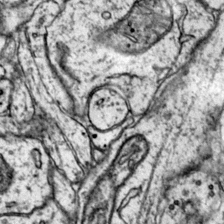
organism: Mouse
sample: Primary visual cortex